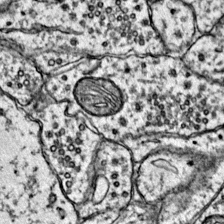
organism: Mouse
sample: Primary visual cortex